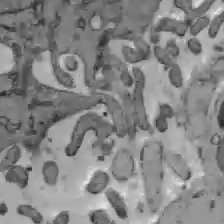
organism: C57BL Mouse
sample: Liver